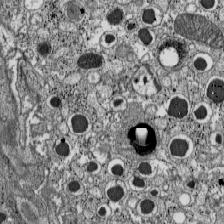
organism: C57BL Mouse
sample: Pancreatic islet